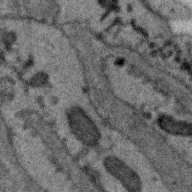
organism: Zebra finch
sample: Brain